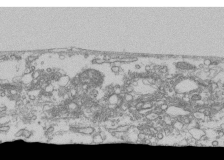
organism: Human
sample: Fibroblast cells